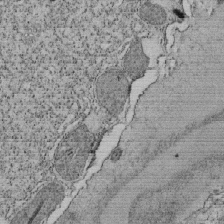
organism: Tetrahymena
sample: Cilia in tetrahymena